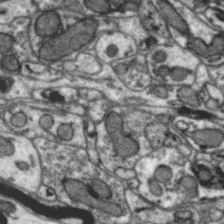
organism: Zebra finch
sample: Brain